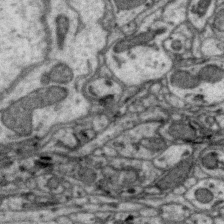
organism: Zebra finch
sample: Brain